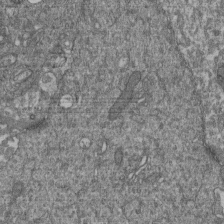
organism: Human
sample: Retinal organoid Rod and Cone cells